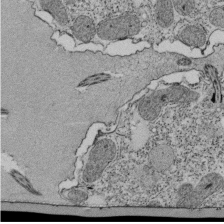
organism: Tetrahymena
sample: Cilia in tetrahymena